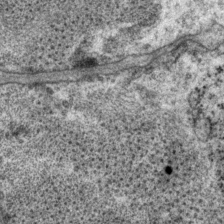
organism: P. pacificus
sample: Pharynx